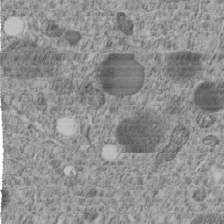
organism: C. elegans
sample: C. elegans embryo early stage